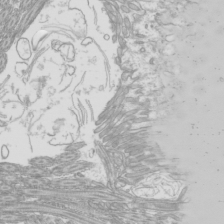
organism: Mouse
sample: Cilia; mouse epididymis